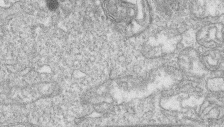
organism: Human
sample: HeLa cell HIV synapse